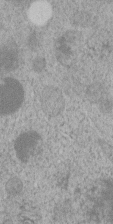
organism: C. elegans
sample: C. elegans embryo early stage